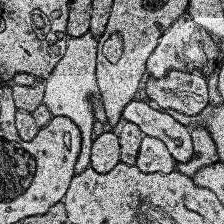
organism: Human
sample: Temporal Lobe